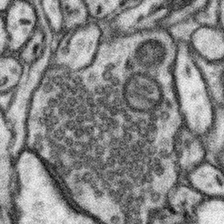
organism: Mouse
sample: Somatosensory cortex neuropil